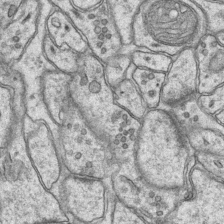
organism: Mouse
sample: CA1 Hippocampus